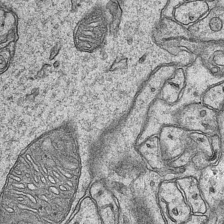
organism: Mouse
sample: CA1 Hippocampus